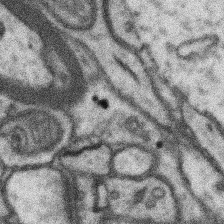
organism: Mouse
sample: Somatosensory cortex neuropil